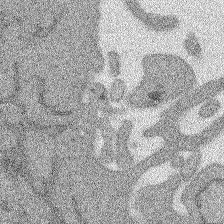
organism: Human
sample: HeLa cells